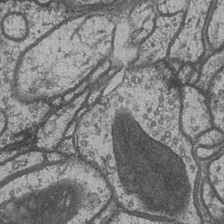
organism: Drosophila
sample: Optic medulla